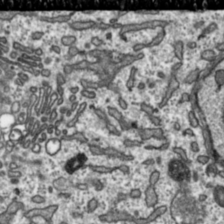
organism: Toxoplasma gondii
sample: Parasites in a vacuole inside a host cell